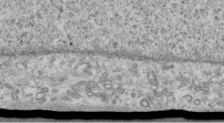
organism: Human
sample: Centriole in RPE cells